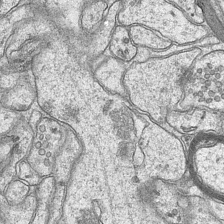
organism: Mouse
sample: CA1 Hippocampus